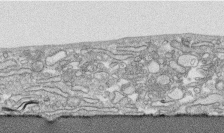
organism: Human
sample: CRL-1474